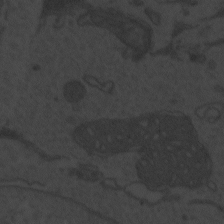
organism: Zebrafish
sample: Macrophage infected with Toxoplasma gondii